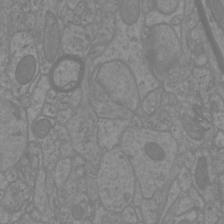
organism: Mouse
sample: Cortical neurons